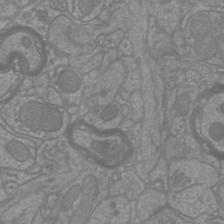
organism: Mouse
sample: Cortical neurons